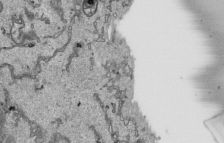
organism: Human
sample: Mitochondria in HCT116 cells